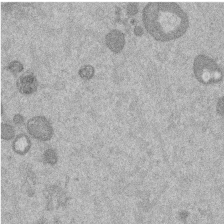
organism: Mouse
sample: Dividing mouse embryo 1 cell stage